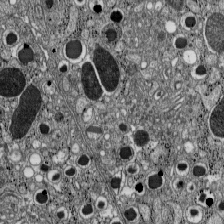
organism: C57BL Mouse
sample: Pancreatic islet